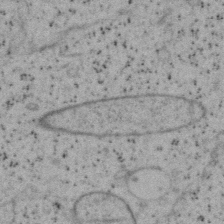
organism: Human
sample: HeLa cells